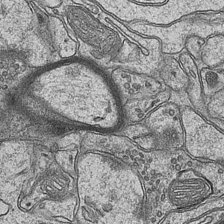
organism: Mouse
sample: CA1 Hippocampus